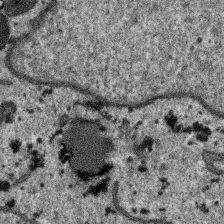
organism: Human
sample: Lung epithelial cells infected with SARS-CoV-2